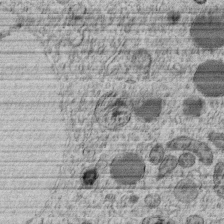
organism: C. elegans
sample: C. elegans embryo early stage